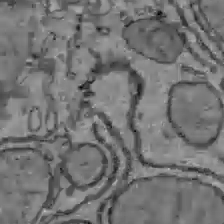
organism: C57BL Mouse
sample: Liver